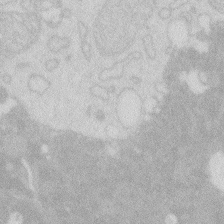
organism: Zebrafish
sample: Macrophage